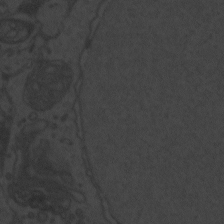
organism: Zebrafish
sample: Macrophage infected with Toxoplasma gondii